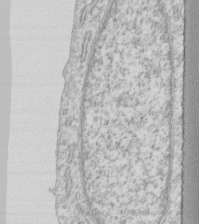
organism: Human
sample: Fibroblast cells